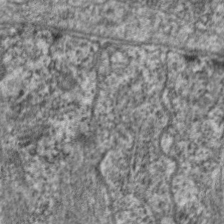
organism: C. elegans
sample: Pharynx